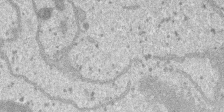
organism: Human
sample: Lung epithelial cells infected with SARS-CoV-2